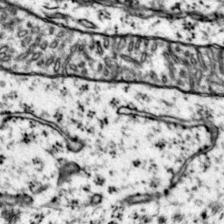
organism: Mouse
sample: Primary visual cortex